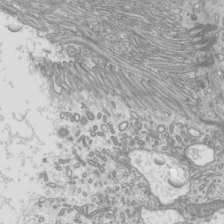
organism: Mouse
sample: Cilia; mouse epididymis